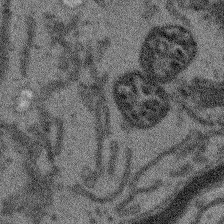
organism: Arabidopsis thaliana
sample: Root tip